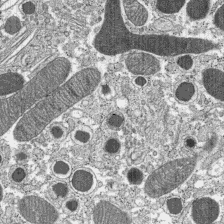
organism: C57BL Mouse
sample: Pancreatic islet